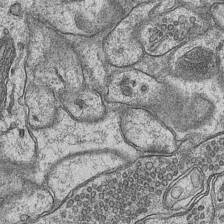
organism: Mouse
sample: CA1 Hippocampus